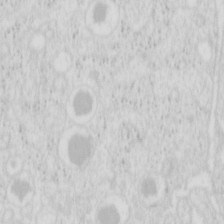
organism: Mouse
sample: Pancreas